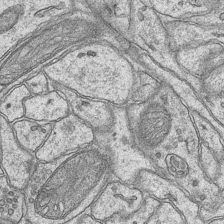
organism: Mouse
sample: CA1 Hippocampus